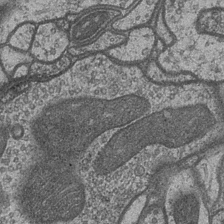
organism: Drosophila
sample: Optic medulla